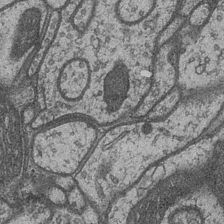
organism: Drosophila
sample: Optic medulla